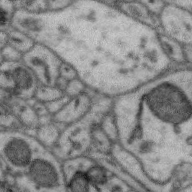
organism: Zebra finch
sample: Brain